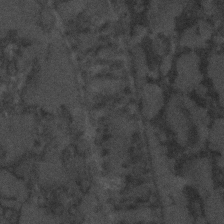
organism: C. elegans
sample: C. elegans embryo